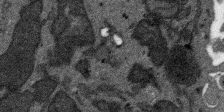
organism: Human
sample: Lung epithelial cells infected with SARS-CoV-2